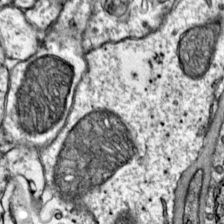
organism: Mouse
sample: Primary visual cortex